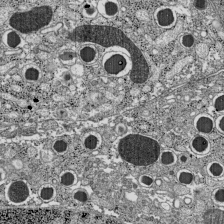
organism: C57BL Mouse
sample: Pancreatic islet